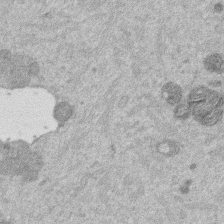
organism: Mouse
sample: Dividing mouse embryo 1 cell stage